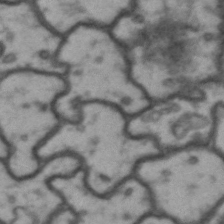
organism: Drosophila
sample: Brain